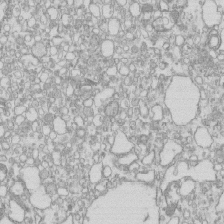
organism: Mouse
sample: Macrophages